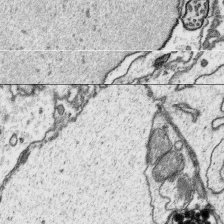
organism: Platynereis dumerilii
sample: Parapodia